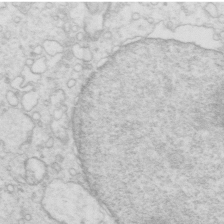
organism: Mouse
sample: Multiciliated cells